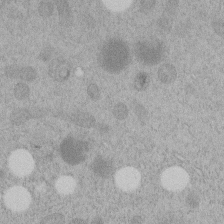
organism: C. elegans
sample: C. elegans embryo early stage